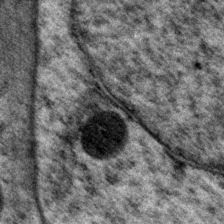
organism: P. pacificus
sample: Pharynx